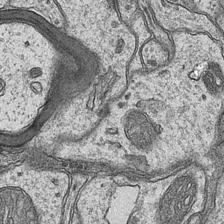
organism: Mouse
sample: CA1 Hippocampus